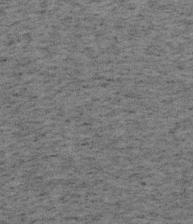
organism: Mouse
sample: OT-I killer T cells with ID8 ovarian cancer cells